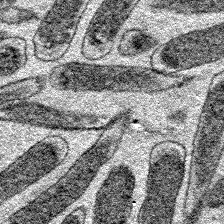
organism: E. coli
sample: E. Coli Bacteria